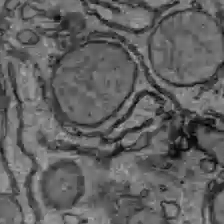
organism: C57BL Mouse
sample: Liver